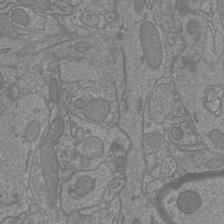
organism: Mouse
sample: Cortical neurons